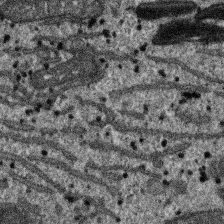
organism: Human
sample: Lung epithelial cells infected with SARS-CoV-2